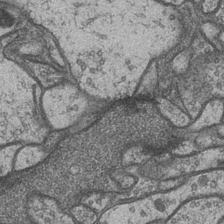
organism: Drosophila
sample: Optic medulla